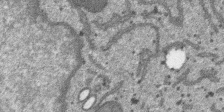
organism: Human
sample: Lung epithelial cells infected with SARS-CoV-2